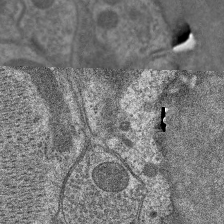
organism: C. elegans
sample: Pharynx